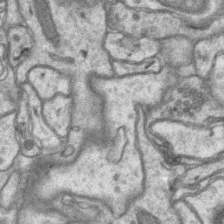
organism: Mouse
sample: CA1 Hippocampus